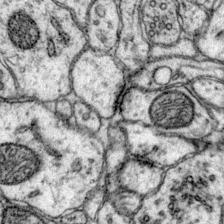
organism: Mouse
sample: Primary visual cortex